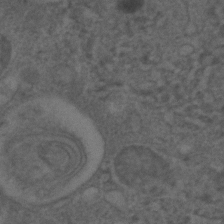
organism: C. elegans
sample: C. elegans embryo